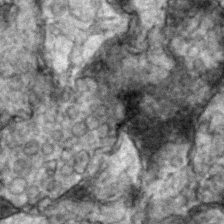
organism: Zebrafish